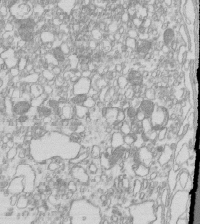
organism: Mouse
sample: Macrophages